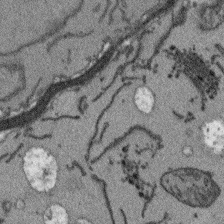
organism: Arabidopsis thaliana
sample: Root tip